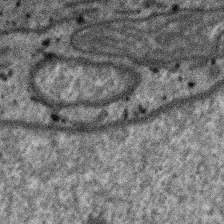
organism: Human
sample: Lung epithelial cells infected with SARS-CoV-2